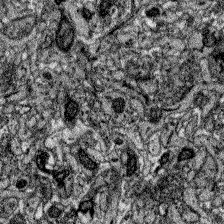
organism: Zebrafish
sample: Larval olfactory bulb